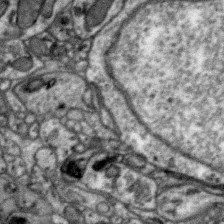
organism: Zebra finch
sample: Brain